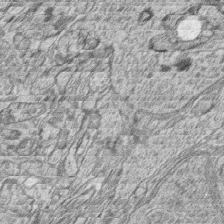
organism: Zebrafish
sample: synaptic ribbons in rod cells and cone cells